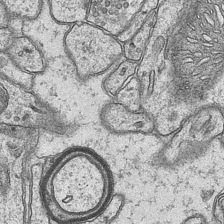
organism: Mouse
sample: CA1 Hippocampus